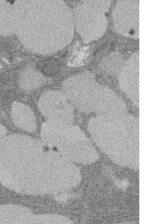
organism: Rat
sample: Salivary granule